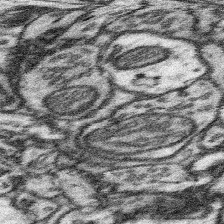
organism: Mouse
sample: Somatosensory cortex neuropil